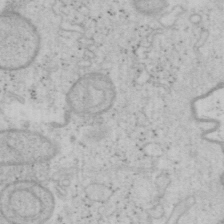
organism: Human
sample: HeLa cells